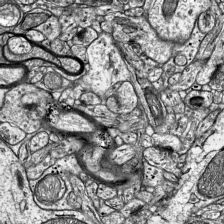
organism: Mouse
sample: Visual Cortex